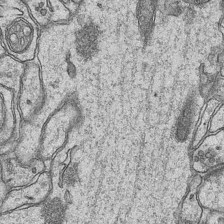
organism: Mouse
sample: CA1 Hippocampus